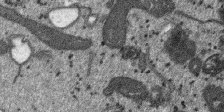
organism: Human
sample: Lung epithelial cells infected with SARS-CoV-2